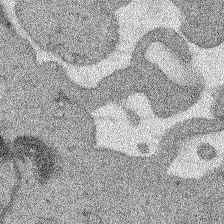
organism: Human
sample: HeLa cells